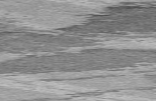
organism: C57BL Mouse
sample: Heart